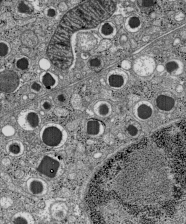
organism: C57BL Mouse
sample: Pancreatic islet